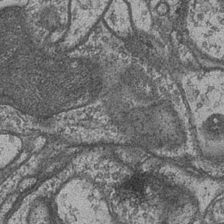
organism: Drosophila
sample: Optic medulla